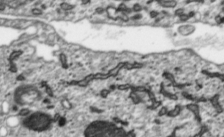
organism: Toxoplasma gondii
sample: Parasites in a vacuole inside a host cell